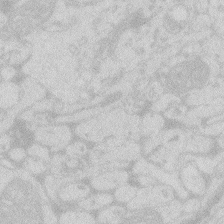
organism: Zebrafish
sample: Macrophage